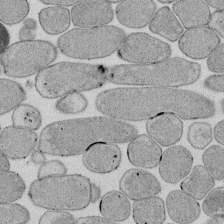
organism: E. coli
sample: Bacterial nucleoid